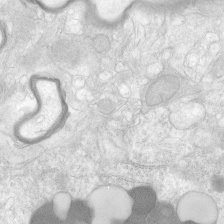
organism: Human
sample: Neocortex